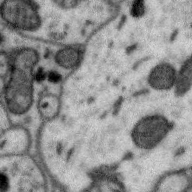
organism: Zebra finch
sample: Brain